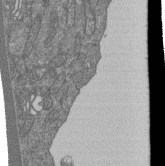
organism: Human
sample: Retinal organoid Rod and Cone cells